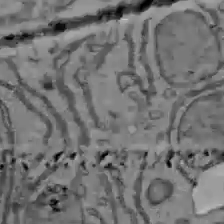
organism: C57BL Mouse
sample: Liver